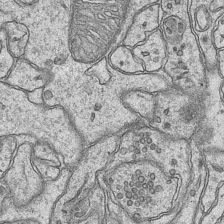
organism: Mouse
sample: CA1 Hippocampus